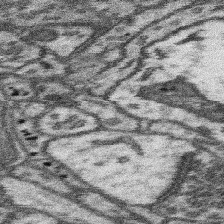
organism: Mouse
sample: Somatosensory cortex neuropil